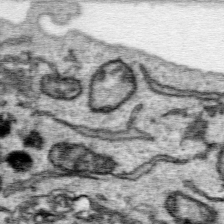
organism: Human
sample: HeLa cells